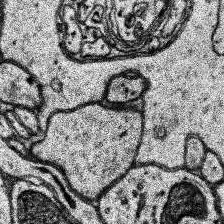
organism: Human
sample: Temporal Lobe